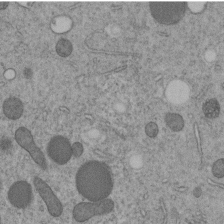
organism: C. elegans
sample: C. elegans embryo early stage